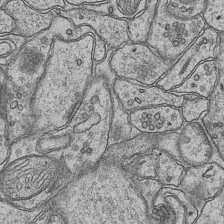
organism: Mouse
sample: CA1 Hippocampus